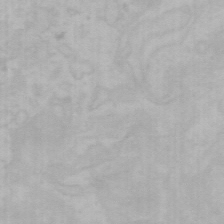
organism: Mouse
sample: Choroid plexus